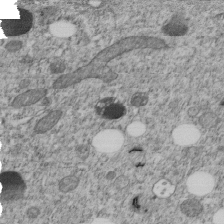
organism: C. elegans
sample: C. elegans embryo early stage